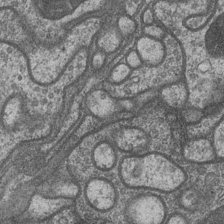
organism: Drosophila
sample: Optic medulla